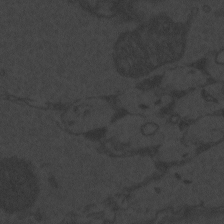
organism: Zebrafish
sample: Macrophage infected with Toxoplasma gondii